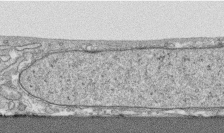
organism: Human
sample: CRL-1474